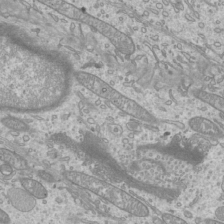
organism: Mouse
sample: Cilia; mouse epididymis